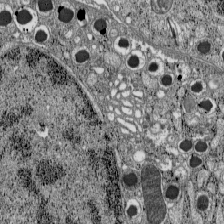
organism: C57BL Mouse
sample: Pancreatic islet